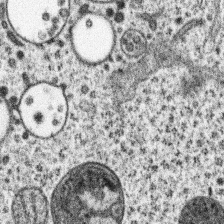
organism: Human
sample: HeLa cells